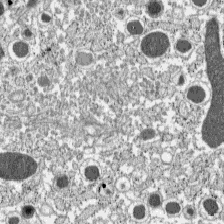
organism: C57BL Mouse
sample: Pancreatic islet